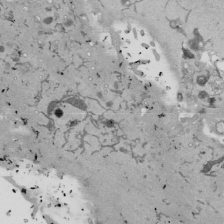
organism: Mouse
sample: ED-1 cell nuclei; centrioles